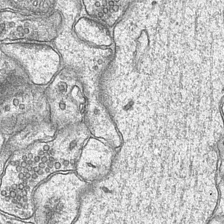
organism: Mouse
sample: CA1 Hippocampus